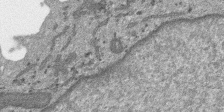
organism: Human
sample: Lung epithelial cells infected with SARS-CoV-2